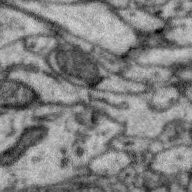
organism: Zebra finch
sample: Brain